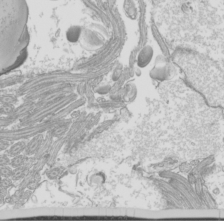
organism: Mouse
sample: Cilia; mouse epididymis